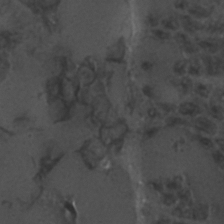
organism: C. elegans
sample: C. elegans embryo